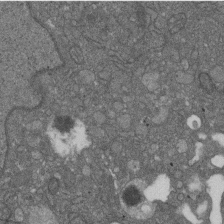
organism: Drosophila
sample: Nephrocyte